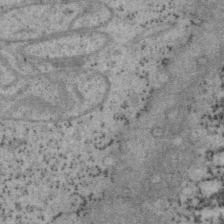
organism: Human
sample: HeLa cells